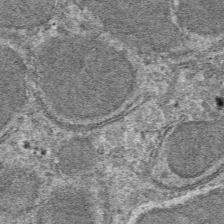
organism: Mouse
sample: Mouse hepatocytes